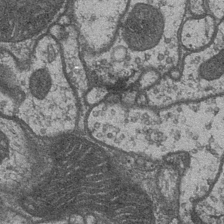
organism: Drosophila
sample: Optic medulla